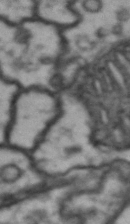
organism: Drosophila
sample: Brain